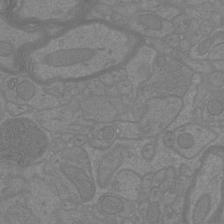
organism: Mouse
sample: Cortical neurons